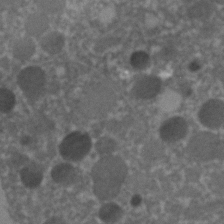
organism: C. elegans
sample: C. elegans embryo